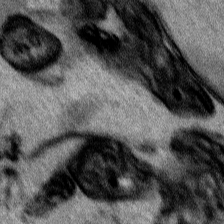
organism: Human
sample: Mitochondria in HCT116 cells